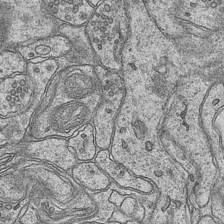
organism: Mouse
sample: CA1 Hippocampus